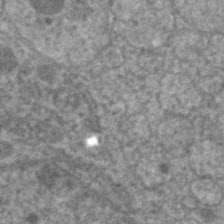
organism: C. elegans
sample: Pharynx